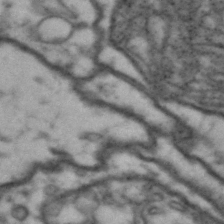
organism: Drosophila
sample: Brain